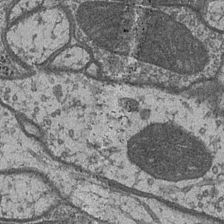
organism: Drosophila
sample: Optic medulla